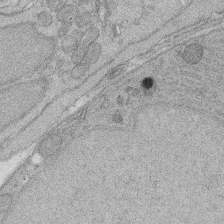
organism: Rat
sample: Salivary granule